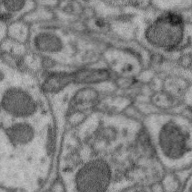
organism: Zebra finch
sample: Brain